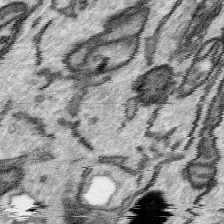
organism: Human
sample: HeLa cells